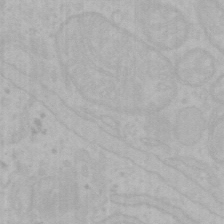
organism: Mouse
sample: Choroid plexus